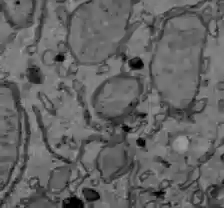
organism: C57BL Mouse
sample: Liver